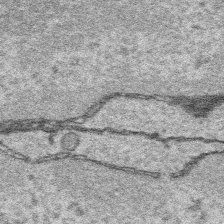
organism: Platynereis dumerilii